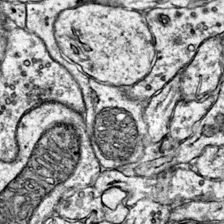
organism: Mouse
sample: Primary visual cortex